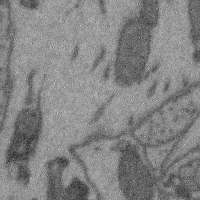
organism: Mouse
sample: Cerebral cortex